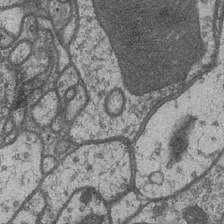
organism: Drosophila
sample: Optic medulla